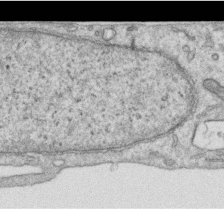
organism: Human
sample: Centriole in RPE cells